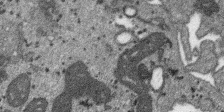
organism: Human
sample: Lung epithelial cells infected with SARS-CoV-2